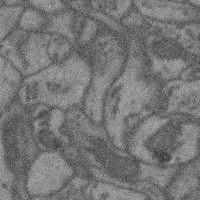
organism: Mouse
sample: Cerebral cortex